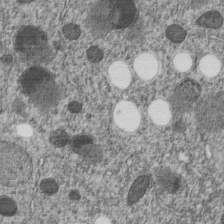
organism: C. elegans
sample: C. elegans embryo early stage